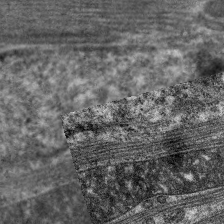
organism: C. elegans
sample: Pharynx